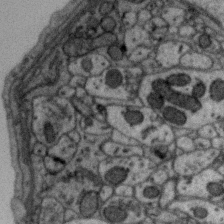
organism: Zebra finch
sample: Brain